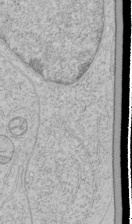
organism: Human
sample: Mitochondria in HCT116 cells